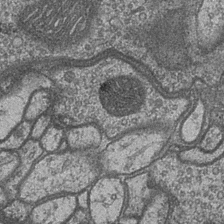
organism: Drosophila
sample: Optic medulla